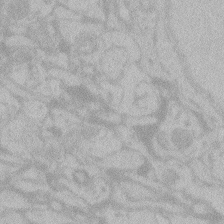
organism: Zebrafish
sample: Macrophage infected with Toxoplasma gondii